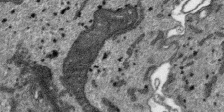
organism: Human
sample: Lung epithelial cells, uninfected (mock) control